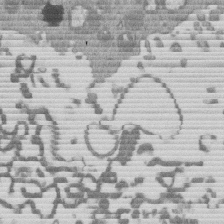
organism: Mouse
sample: Dividing mouse embryo 1 cell stage